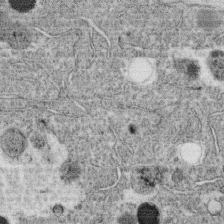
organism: C. elegans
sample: C. elegans oocyte; sperm cells